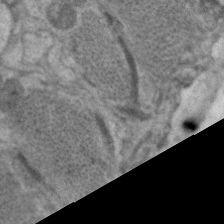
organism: C. elegans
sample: Pharynx